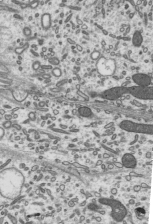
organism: Mouse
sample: Mouse epididymis efferent ductule cilia